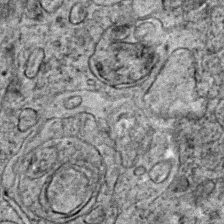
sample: Trachea